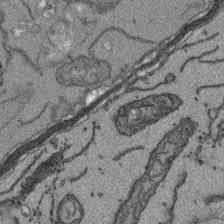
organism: Arabidopsis thaliana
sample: Root tip